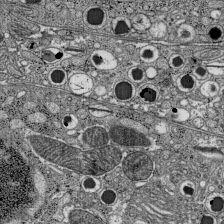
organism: C57BL Mouse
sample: Pancreatic islet